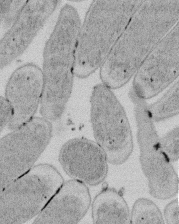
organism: E. coli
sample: Bacterial nucleoid